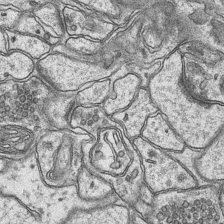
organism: Mouse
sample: CA1 Hippocampus